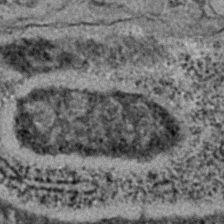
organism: C. elegans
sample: C. elegans embryo